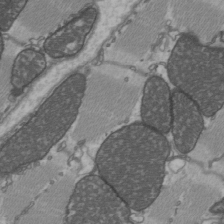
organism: C57BL Mouse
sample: Heart